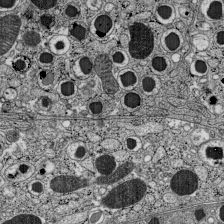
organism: C57BL Mouse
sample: Pancreatic islet